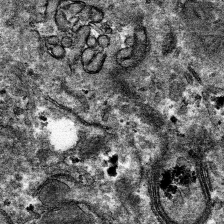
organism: Mouse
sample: Mouse hepatocytes